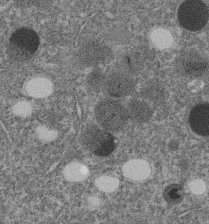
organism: C. elegans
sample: C. elegans embryo early stage